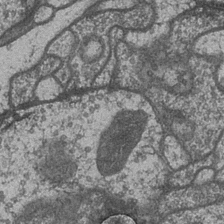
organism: Drosophila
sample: Optic medulla